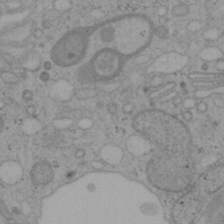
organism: Mouse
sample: OT-I killer T cells with ID8 ovarian cancer cells